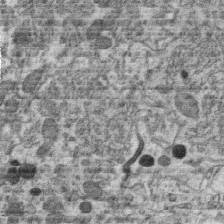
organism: C. elegans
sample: C. elegans oocyte; sperm cells